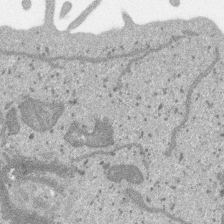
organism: Human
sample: Lung epithelial cells infected with SARS-CoV-2